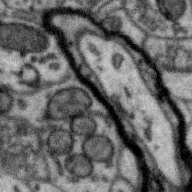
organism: Zebra finch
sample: Brain